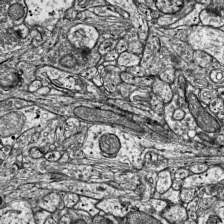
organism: Mouse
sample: Visual Cortex